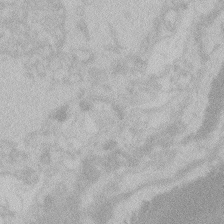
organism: Zebrafish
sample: Macrophage infected with Toxoplasma gondii